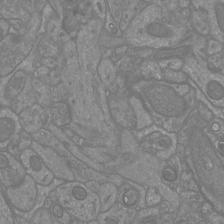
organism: Mouse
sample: Cortical neurons